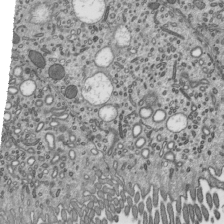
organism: Mouse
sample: Mouse epididymis efferent ductule cilia